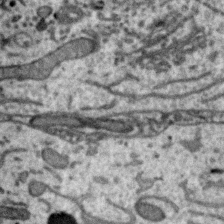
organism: Zebra finch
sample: Brain